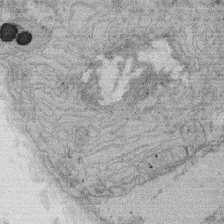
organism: Rat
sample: Salivary granule